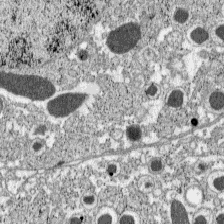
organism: C57BL Mouse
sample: Pancreatic islet